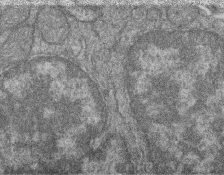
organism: Zebrafish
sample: Cilia; retinal pigment epithelium